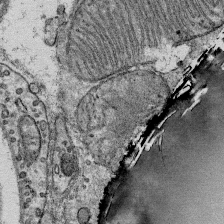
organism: Mouse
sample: Mouse Salivary gland